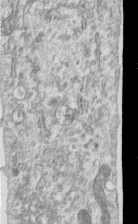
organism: Human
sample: Centriole in RPE cells